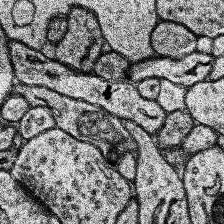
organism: Human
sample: Temporal Lobe